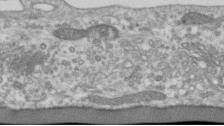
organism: Human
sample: Centriole in RPE cells